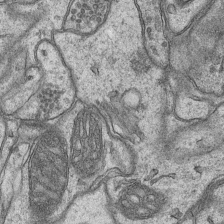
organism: Mouse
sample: CA1 Hippocampus